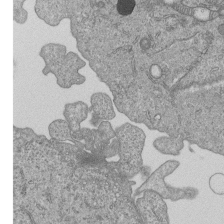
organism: Human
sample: MDA-MB-231 cells